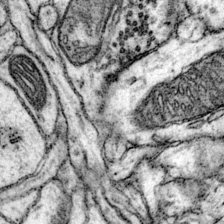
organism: Mouse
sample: Primary visual cortex